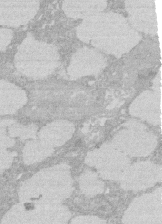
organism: Rat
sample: Salivary granule